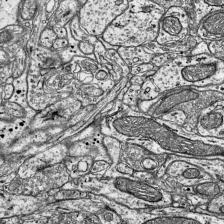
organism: Mouse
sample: Visual Cortex